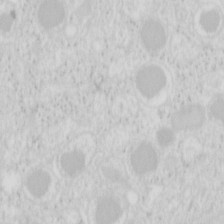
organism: Mouse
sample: Pancreas